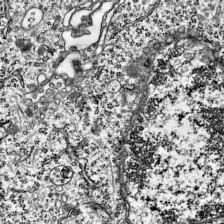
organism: Mouse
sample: Visual Cortex